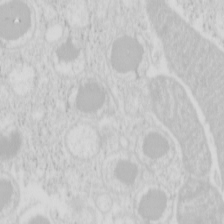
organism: Mouse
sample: Pancreas